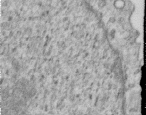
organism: Human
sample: Centriole in RPE cells